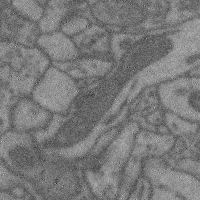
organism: Mouse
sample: Cerebral cortex